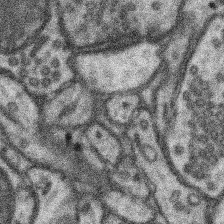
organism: Mouse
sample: Somatosensory cortex neuropil